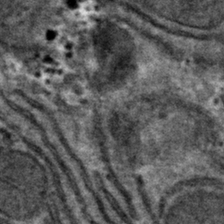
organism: Mouse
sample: Mouse hepatocytes